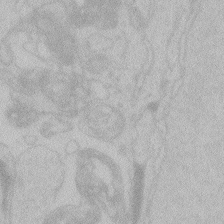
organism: Zebrafish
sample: Macrophage infected with Toxoplasma gondii